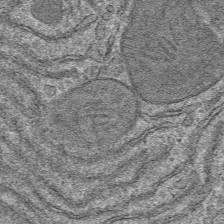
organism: Mouse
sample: Mouse hepatocytes